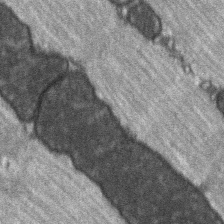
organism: C57BL Mouse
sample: Soleus